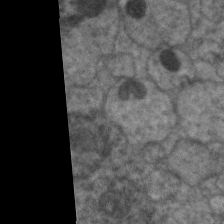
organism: C. elegans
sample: Pharynx